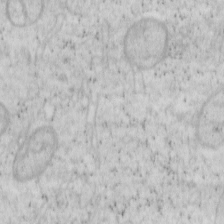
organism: Human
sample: HeLa cells